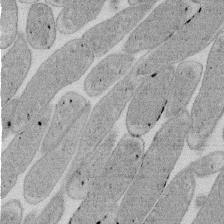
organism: E. coli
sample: Bacterial nucleoid